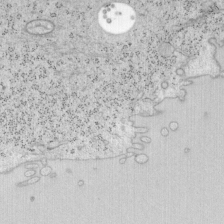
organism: Mouse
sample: OT-I killer T cells with ID8 ovarian cancer cells